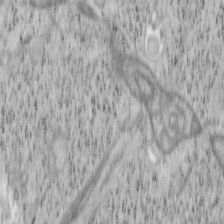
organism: Human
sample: HeLa cells